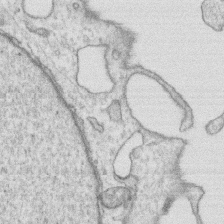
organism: Human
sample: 1205lu cells